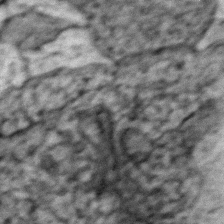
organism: Zebrafish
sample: Zebrafish embryo